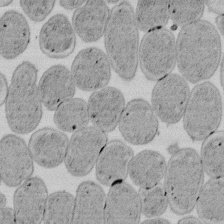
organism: E. coli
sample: Bacterial nucleoid